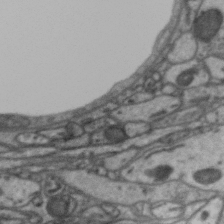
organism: Zebra finch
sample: Brain